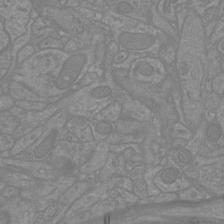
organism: Mouse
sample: Cortical neurons